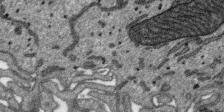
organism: Human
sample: Lung epithelial cells, uninfected (mock) control